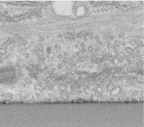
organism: Human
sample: Centriole in fibroblast cells